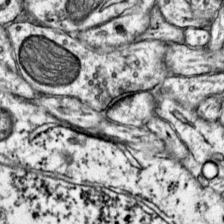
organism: Mouse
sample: Primary visual cortex